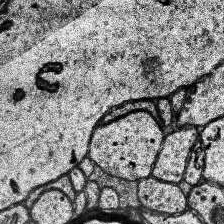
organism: Human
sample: Temporal Lobe